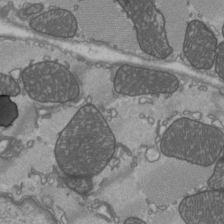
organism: C57BL Mouse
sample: Heart